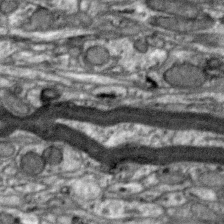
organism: Zebra finch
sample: Brain